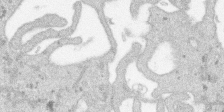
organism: Human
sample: Lung epithelial cells infected with SARS-CoV-2